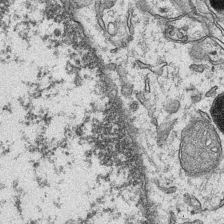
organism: Mouse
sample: CA1 Hippocampus